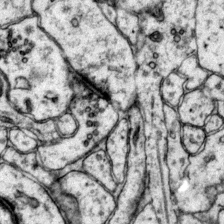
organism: Mouse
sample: Primary visual cortex